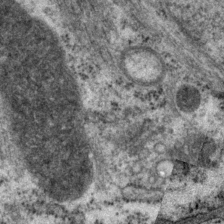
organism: P. pacificus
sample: Pharynx